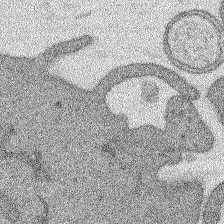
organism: Human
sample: HeLa cells